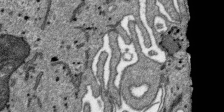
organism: Human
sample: Lung epithelial cells, uninfected (mock) control